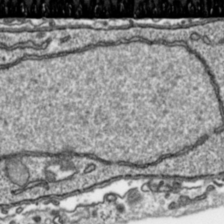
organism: Toxoplasma gondii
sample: Parasites in a vacuole inside a host cell